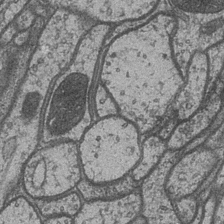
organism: Drosophila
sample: Optic medulla